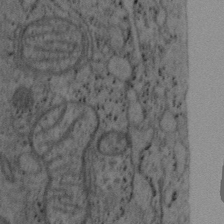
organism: Human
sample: HeLa cells